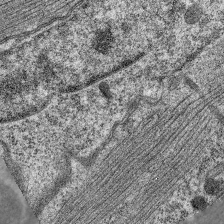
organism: C. elegans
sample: Pharynx